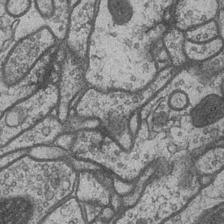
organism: Drosophila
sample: Optic medulla